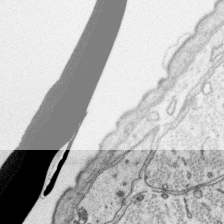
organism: Platynereis dumerilii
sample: Parapodia